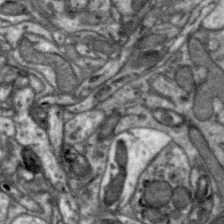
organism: Zebra finch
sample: Brain